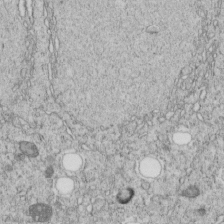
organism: C. elegans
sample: C. elegans embryo early stage